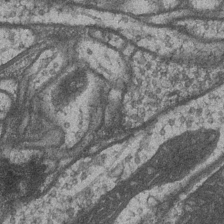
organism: Drosophila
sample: Optic medulla